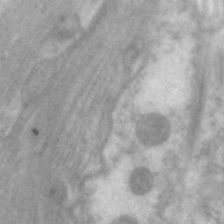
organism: C. elegans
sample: Pharynx